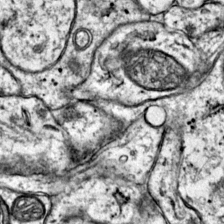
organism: Mouse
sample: Primary visual cortex